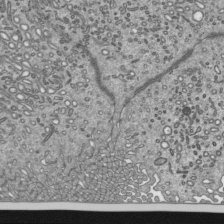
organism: Mouse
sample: Mouse epididymis efferent ductule cilia